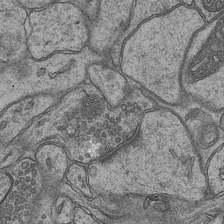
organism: Mouse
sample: CA1 Hippocampus